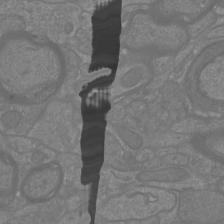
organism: Mouse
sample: Cortical neurons